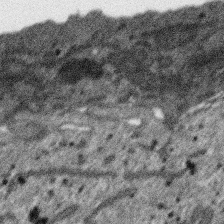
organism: Human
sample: Lung epithelial cells infected with SARS-CoV-2